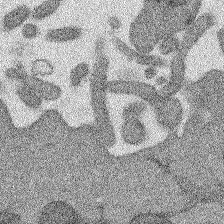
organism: Human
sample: HeLa cells